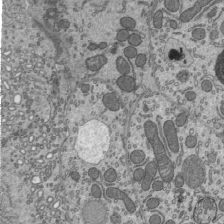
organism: Mouse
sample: Mouse epididymis efferent ductule cilia